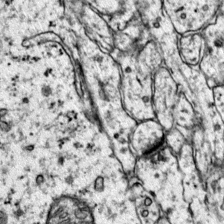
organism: Mouse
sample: Primary visual cortex